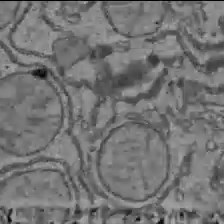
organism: C57BL Mouse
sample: Liver